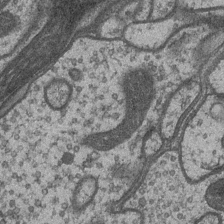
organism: Drosophila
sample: Optic medulla